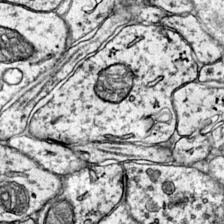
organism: Mouse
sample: Primary visual cortex